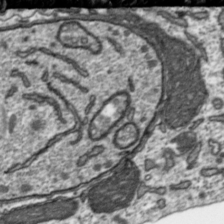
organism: Toxoplasma gondii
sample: Parasites in a vacuole inside a host cell